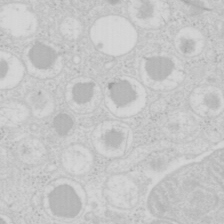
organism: Mouse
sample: Pancreas